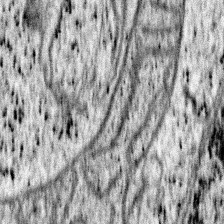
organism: Human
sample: HeLa cells